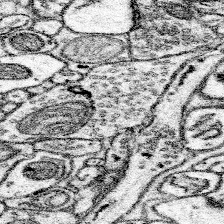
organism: Mouse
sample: Somatosensory cortex neuropil